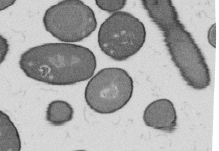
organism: B. subtilis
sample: Bacterial spore